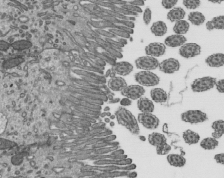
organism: Mouse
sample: Mouse epididymis efferent ductule cilia